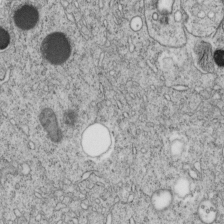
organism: C. elegans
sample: C. elegans embryo early stage